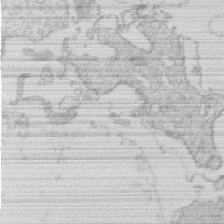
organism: Human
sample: Macrophage cells